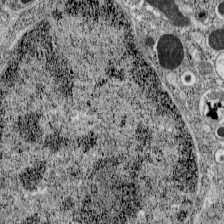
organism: C57BL Mouse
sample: Pancreatic islet